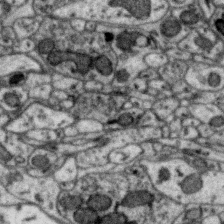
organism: Zebra finch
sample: Brain